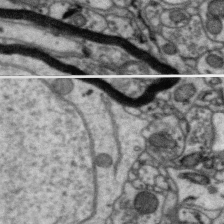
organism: Zebra finch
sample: Brain